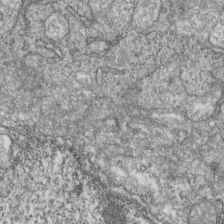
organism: Zebrafish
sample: Cilia; retinal pigment epithelium